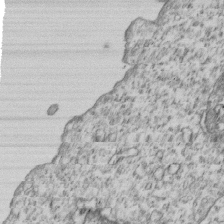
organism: Human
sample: MDA-MB-231 cells